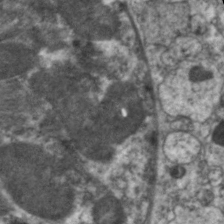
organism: C. elegans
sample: Pharynx